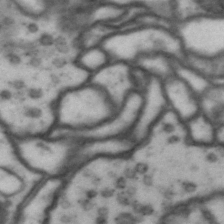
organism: Drosophila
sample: Brain